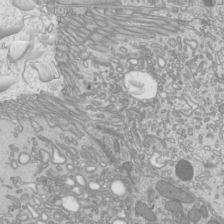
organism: Mouse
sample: Cilia; mouse epididymis